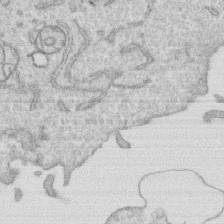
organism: Human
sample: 1205lu cells